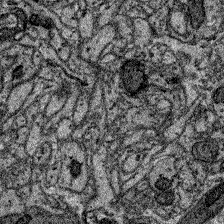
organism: Zebrafish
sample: Larval olfactory bulb